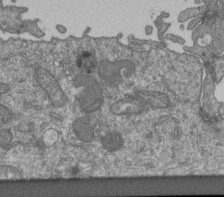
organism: Human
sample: Retinal organoid Rod and Cone cells